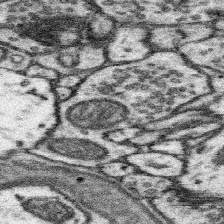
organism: Mouse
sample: Somatosensory cortex neuropil